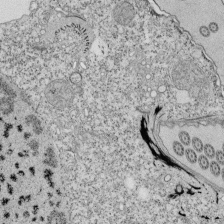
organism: Tetrahymena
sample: Cilia in tetrahymena